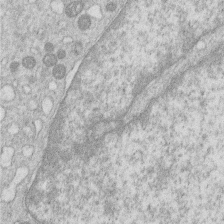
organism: Human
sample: Macrophage cells